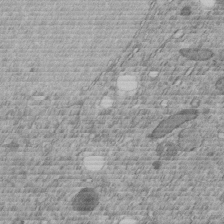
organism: C. elegans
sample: C. elegans embryo early stage